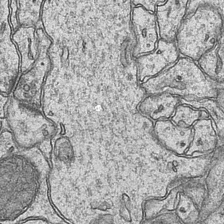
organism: Mouse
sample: CA1 Hippocampus